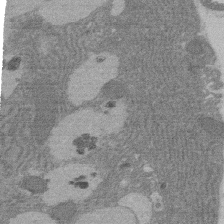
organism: Rat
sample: Salivary granule